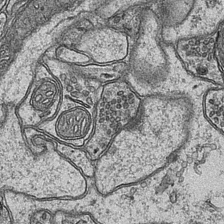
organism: Mouse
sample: CA1 Hippocampus